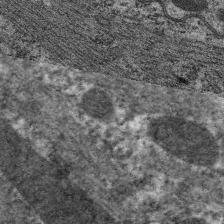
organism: C. elegans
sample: Pharynx